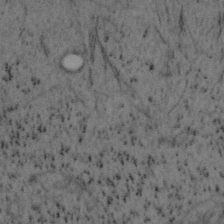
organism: Human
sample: HeLa cells